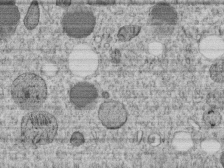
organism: C. elegans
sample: C. elegans embryo early stage